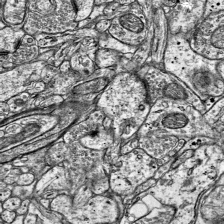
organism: Mouse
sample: Visual Cortex